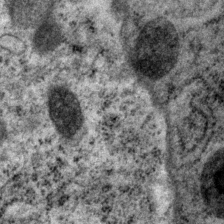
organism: P. pacificus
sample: Pharynx